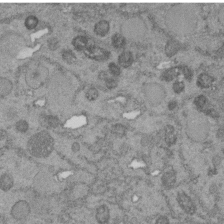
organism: C. elegans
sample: C. elegans embryo early stage